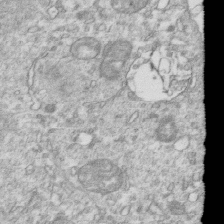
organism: Mouse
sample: Activated OT-1 CD8+ T cells